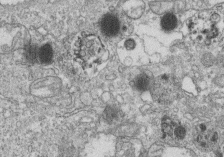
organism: Human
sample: HeLa cell HIV synapse